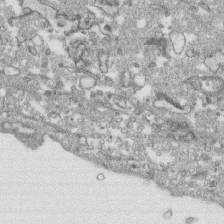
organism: Human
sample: CRL-1474